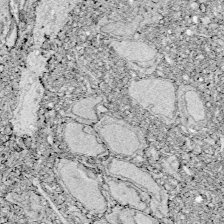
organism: Zebrafish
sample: Whole-Brain